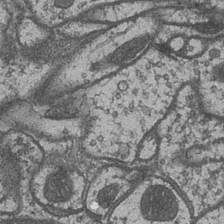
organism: Drosophila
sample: Optic medulla